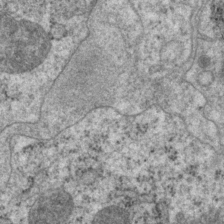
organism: P. pacificus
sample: Pharynx